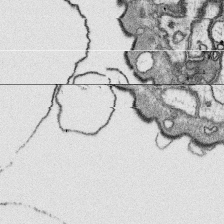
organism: Platynereis dumerilii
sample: Parapodia